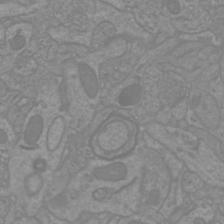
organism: Mouse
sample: Cortical neurons